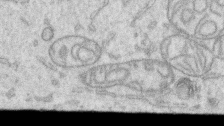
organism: Human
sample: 1205lu cells